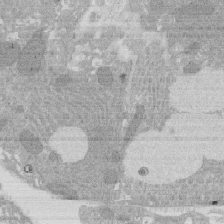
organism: Rat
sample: Salivary granule